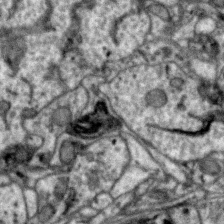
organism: Zebra finch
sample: Brain